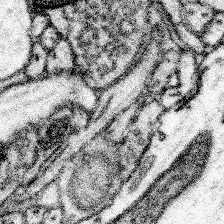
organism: Mouse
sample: Somatosensory cortex neuropil